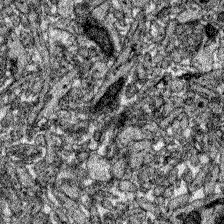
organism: Zebrafish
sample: Larval olfactory bulb